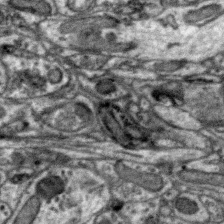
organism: Zebra finch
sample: Brain